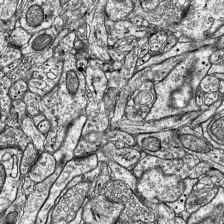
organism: Mouse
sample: Visual Cortex